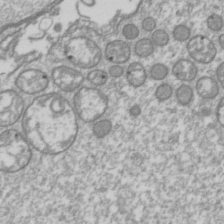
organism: Drosophila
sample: Cell division; meiosis; drosophila spermatocytes